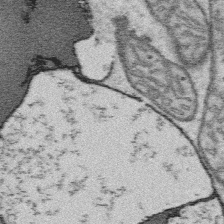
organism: Platynereis dumerilii